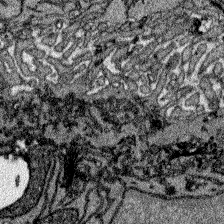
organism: Zebrafish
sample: Larval olfactory bulb